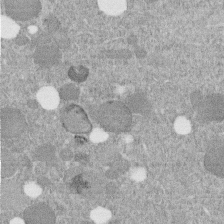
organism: C. elegans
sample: C. elegans embryo early stage